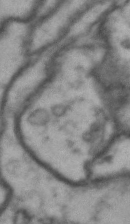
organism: Drosophila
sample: Brain